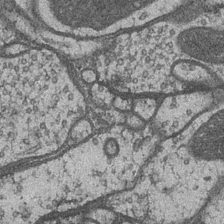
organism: Drosophila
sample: Optic medulla